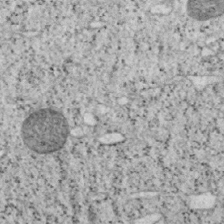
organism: Mouse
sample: OT-I killer T cells with ID8 ovarian cancer cells